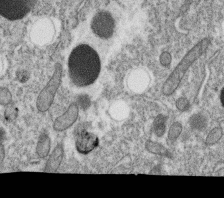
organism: C. elegans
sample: C. elegans oocyte; sperm cells